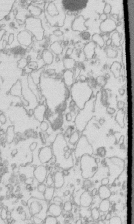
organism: Mouse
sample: Macrophages